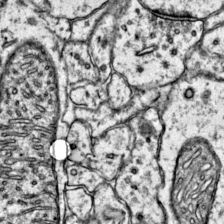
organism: Mouse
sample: Primary visual cortex